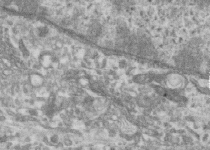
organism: Human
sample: Centriole in RPE cells